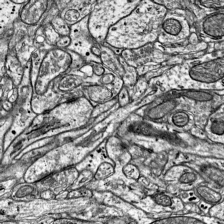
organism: Mouse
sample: Visual Cortex